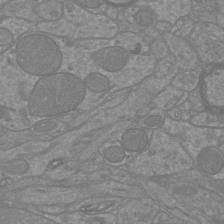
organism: Mouse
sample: Cortical neurons